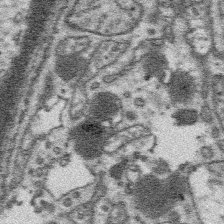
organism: Platynereis dumerilii